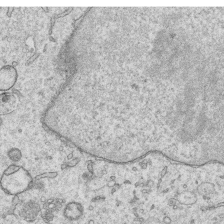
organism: Human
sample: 1205lu cells